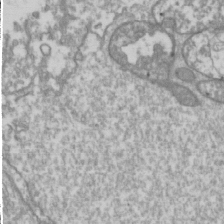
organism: Drosophila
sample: Cell division; meiosis; drosophila spermatocytes